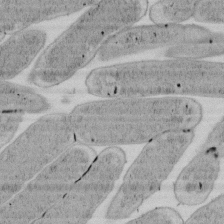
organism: E. coli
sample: Bacterial nucleoid